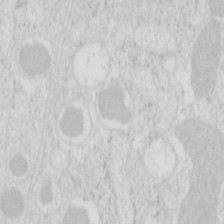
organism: Mouse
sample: Pancreas